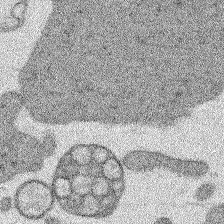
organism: Human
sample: HeLa cells